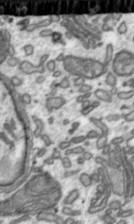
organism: Toxoplasma gondii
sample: Parasites in a vacuole inside a host cell